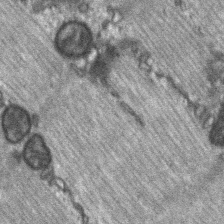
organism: C57BL Mouse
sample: Soleus